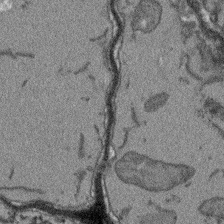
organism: Arabidopsis thaliana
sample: Root tip